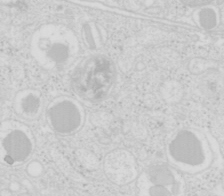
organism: Mouse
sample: Pancreas